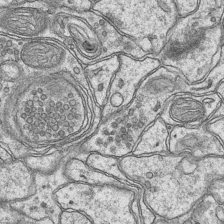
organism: Mouse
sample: CA1 Hippocampus